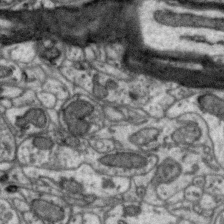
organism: Zebra finch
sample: Brain